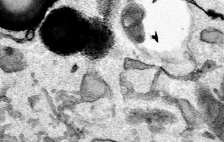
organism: Mouse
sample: Cancer cell death in ED-1 cells